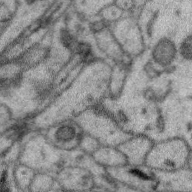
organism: Zebra finch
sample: Brain